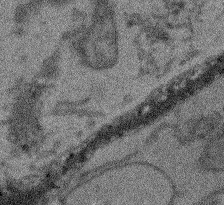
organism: Arabidopsis thaliana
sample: Root tip